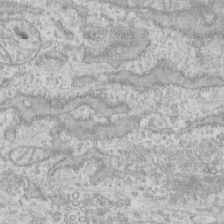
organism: Human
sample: CRL-1474